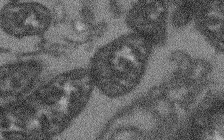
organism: Arabidopsis thaliana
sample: Root tip